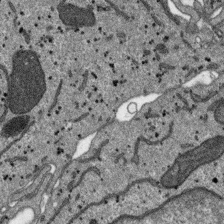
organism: Human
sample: Lung epithelial cells, uninfected (mock) control